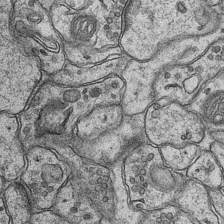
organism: Mouse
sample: CA1 Hippocampus